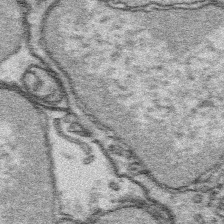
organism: Platynereis dumerilii